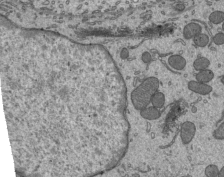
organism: Mouse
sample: Mouse epididymis efferent ductule cilia